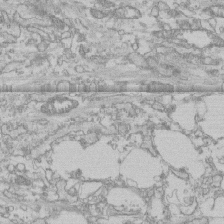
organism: Human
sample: CRL-1474